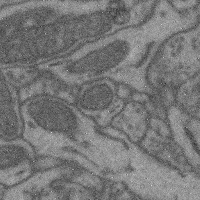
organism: Mouse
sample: Cerebral cortex